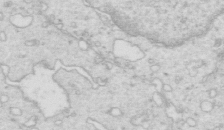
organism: Mouse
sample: Multiciliated cells